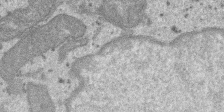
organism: Human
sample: Lung epithelial cells infected with SARS-CoV-2